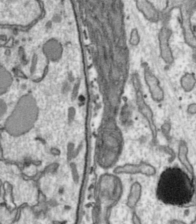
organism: Toxoplasma gondii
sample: Parasites in a vacuole inside a host cell